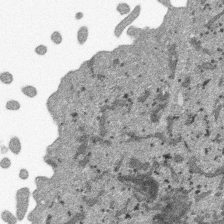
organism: Human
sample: Lung epithelial cells infected with SARS-CoV-2